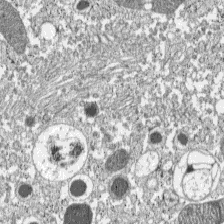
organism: C57BL Mouse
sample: Pancreatic islet